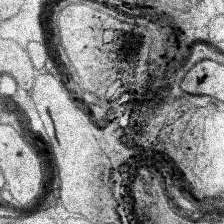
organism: Human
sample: Temporal Lobe